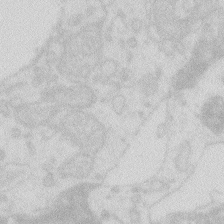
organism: Zebrafish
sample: Macrophage